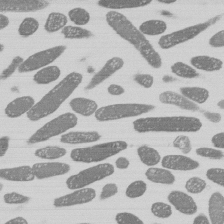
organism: E. coli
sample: Bacterial nucleoid